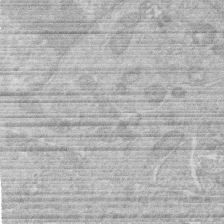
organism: Human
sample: Macrophage cells